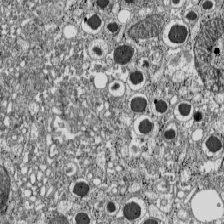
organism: C57BL Mouse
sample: Pancreatic islet